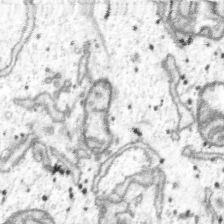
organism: Human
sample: HeLa cells